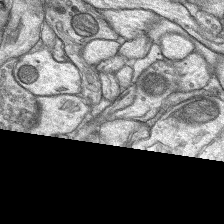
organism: Rat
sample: Hippocampus